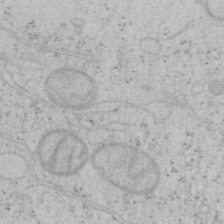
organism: Human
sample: HeLa cells